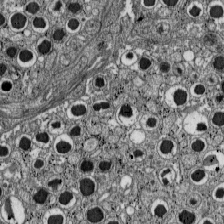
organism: C57BL Mouse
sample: Pancreatic islet